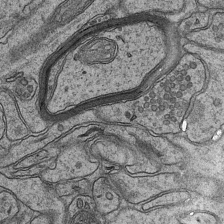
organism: Mouse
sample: CA1 Hippocampus